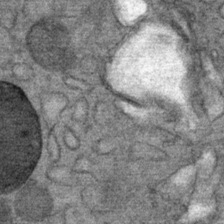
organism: Mouse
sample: Mouse Salivary gland